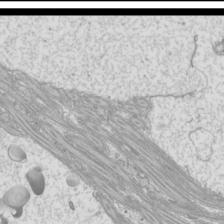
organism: Mouse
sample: Cilia; mouse epididymis